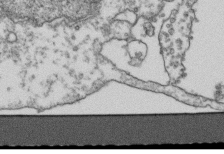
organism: Human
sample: Activated Jurkat CD4+ T cells